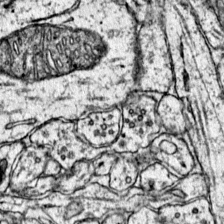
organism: Mouse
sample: Primary visual cortex